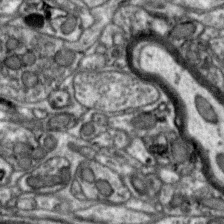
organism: Zebra finch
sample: Brain